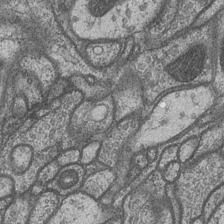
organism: Drosophila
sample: Optic medulla